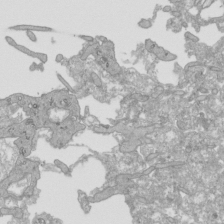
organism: Human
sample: Mitochondria in HCT116 cells